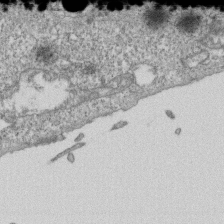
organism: Human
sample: HeLa cell HIV synapse